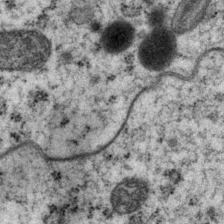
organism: P. pacificus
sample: Pharynx